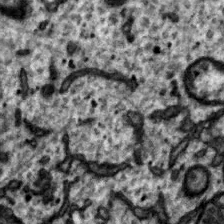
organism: Human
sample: HeLa cells